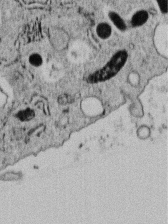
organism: C. elegans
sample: C. elegans embryo early stage